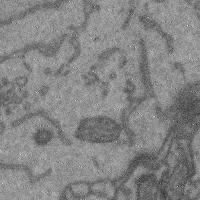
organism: Mouse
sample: Cerebral cortex